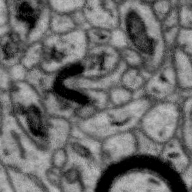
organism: Zebra finch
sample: Brain